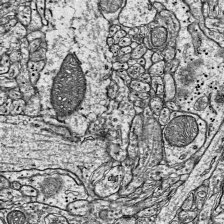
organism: Mouse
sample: Visual Cortex